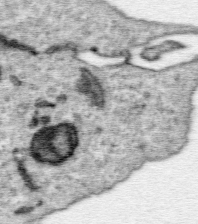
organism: Human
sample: HeLa cells